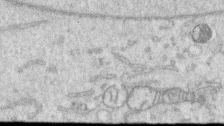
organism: Human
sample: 1205lu cells